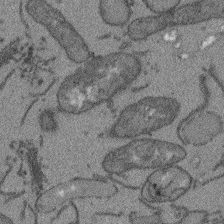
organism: Arabidopsis thaliana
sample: Root tip